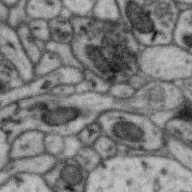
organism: Zebra finch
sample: Brain